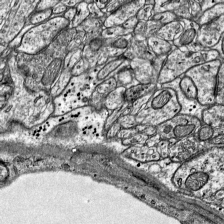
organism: Mouse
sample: Visual Cortex